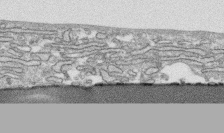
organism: Human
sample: CRL-1474